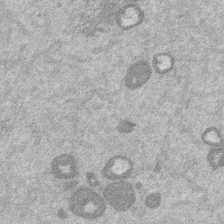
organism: Mouse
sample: Dividing mouse embryo 1 cell stage